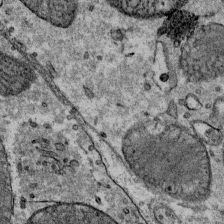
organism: Mouse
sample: Mouse Salivary gland